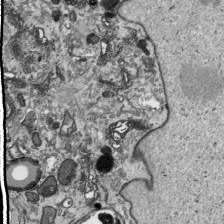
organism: Human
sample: Mitochondria in HCT116 cells